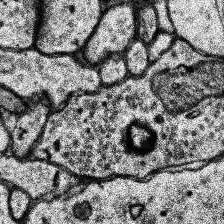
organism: Human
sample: Temporal Lobe